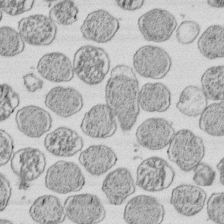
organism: E. coli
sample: Bacterial nucleoid